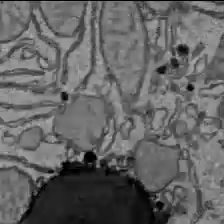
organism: C57BL Mouse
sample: Liver